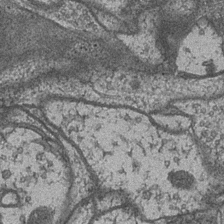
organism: Drosophila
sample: Optic medulla